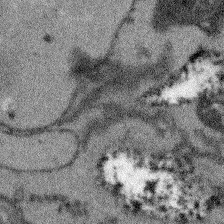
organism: Arabidopsis thaliana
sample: Root tip